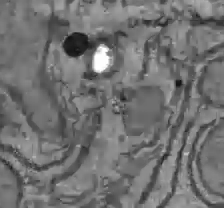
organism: C57BL Mouse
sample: Liver